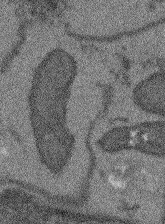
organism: Arabidopsis thaliana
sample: Root tip